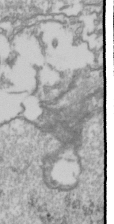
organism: Drosophila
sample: Cell division; meiosis; drosophila spermatocytes